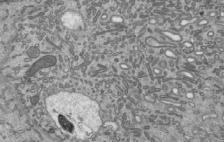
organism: Mouse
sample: Mouse epididymis efferent ductule cilia